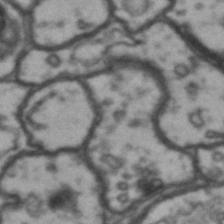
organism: Drosophila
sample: Brain